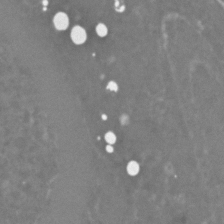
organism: C. elegans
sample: C. elegans embryo